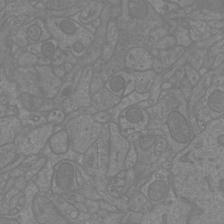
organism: Mouse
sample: Cortical neurons